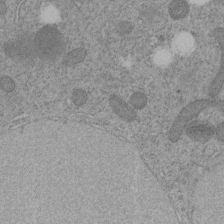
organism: C. elegans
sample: C. elegans embryo early stage